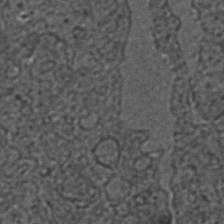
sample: Trachea